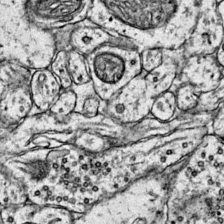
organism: Mouse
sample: Primary visual cortex